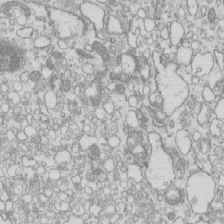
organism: Mouse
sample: Macrophages